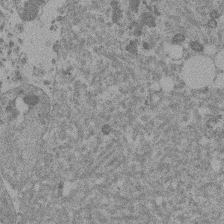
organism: Mouse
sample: Dividing mouse embryo 1 cell stage